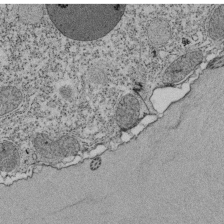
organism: Tetrahymena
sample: Cilia in tetrahymena